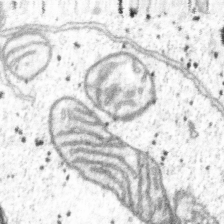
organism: Human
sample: HeLa cells